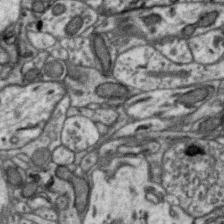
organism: Zebra finch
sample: Brain